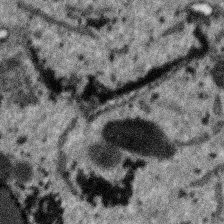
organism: Human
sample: Lung epithelial cells infected with SARS-CoV-2